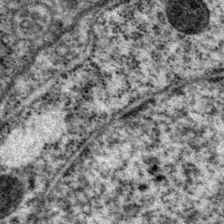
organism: P. pacificus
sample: Pharynx